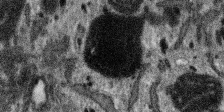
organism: Human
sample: Lung epithelial cells infected with SARS-CoV-2